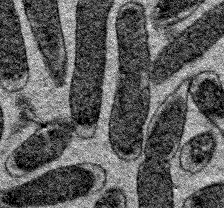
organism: E. coli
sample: E. Coli Bacteria